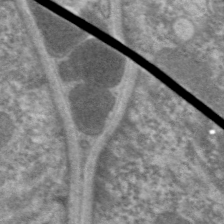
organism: C. elegans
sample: Pharynx